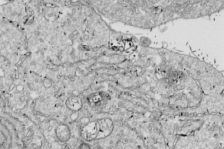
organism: Drosophila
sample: Cell division; meiosis; drosophila spermatocytes